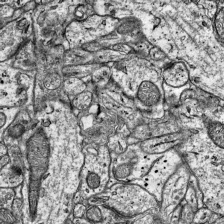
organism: Mouse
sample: Visual Cortex